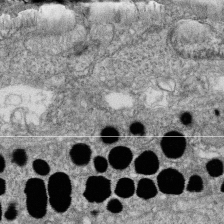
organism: Zebrafish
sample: Cilia; retinal pigment epithelium